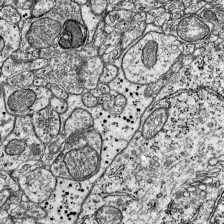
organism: Mouse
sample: Visual Cortex